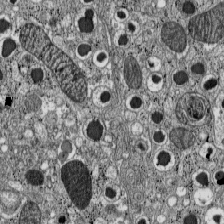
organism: C57BL Mouse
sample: Pancreatic islet